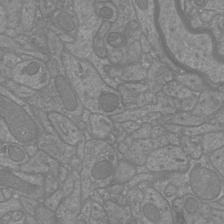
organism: Mouse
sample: Cortical neurons